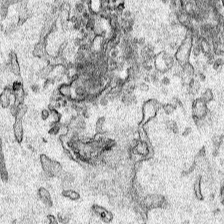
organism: Human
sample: Mitochondria in HCT116 cells